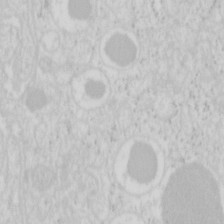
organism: Mouse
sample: Pancreas